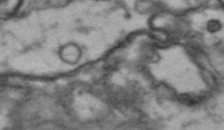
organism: Drosophila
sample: Brain